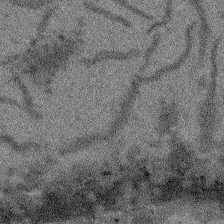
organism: Arabidopsis thaliana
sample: Root tip